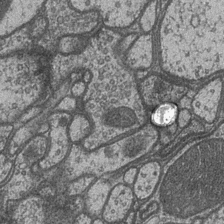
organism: Drosophila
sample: Optic medulla